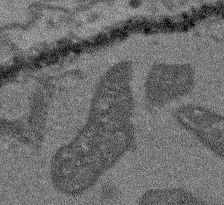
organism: Arabidopsis thaliana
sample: Root tip